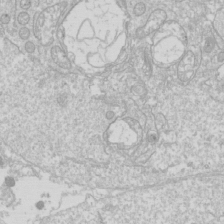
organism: Drosophila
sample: Cell division; meiosis; drosophila spermatocytes